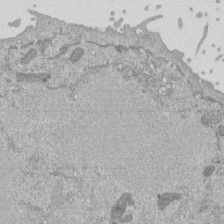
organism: Mouse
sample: ED-1 cell nuclei; centrioles